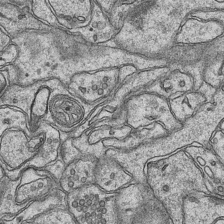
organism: Mouse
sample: CA1 Hippocampus